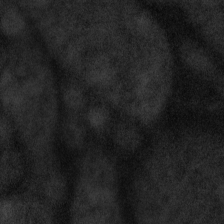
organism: Tuwongella immobilis